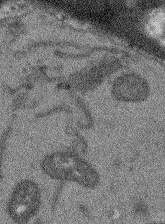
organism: Arabidopsis thaliana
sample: Root tip